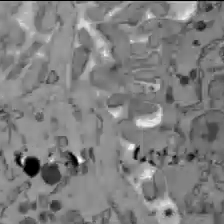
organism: C57BL Mouse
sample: Liver